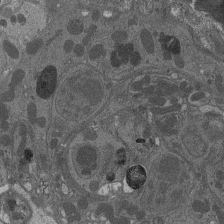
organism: Drosophila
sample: Antenna